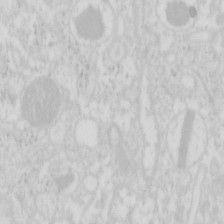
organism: Mouse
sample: Pancreas